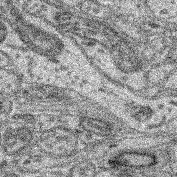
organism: Mouse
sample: Retina